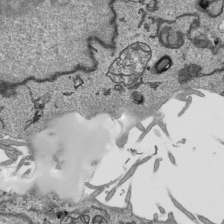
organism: Human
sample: Mitochondria in HCT116 cells